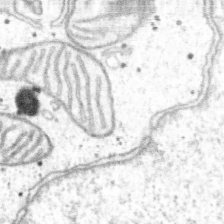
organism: Human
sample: HeLa cells